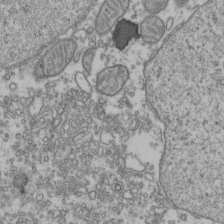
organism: Human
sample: Activated Jurkat CD4+ T cells